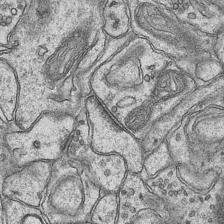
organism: Mouse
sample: CA1 Hippocampus